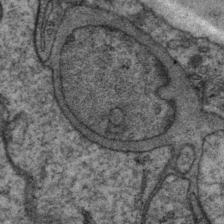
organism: P. pacificus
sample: Pharynx